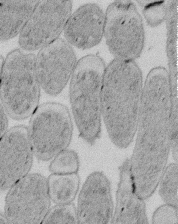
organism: E. coli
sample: Bacterial nucleoid